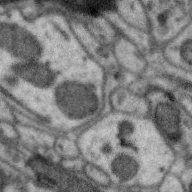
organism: Zebra finch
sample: Brain